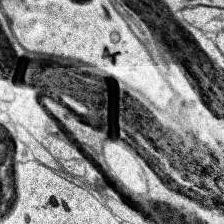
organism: Human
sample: Temporal Lobe